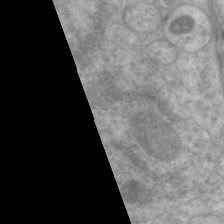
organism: C. elegans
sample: Pharynx